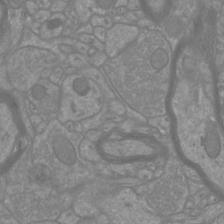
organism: Mouse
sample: Cortical neurons